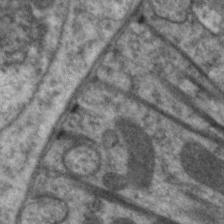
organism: C. elegans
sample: Pharynx